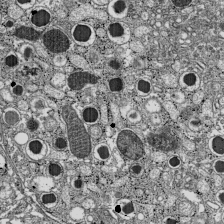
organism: C57BL Mouse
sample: Pancreatic islet